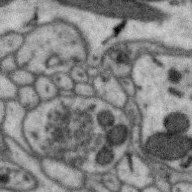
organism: Zebra finch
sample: Brain